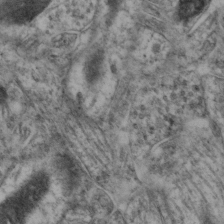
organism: Mouse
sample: Neocortex